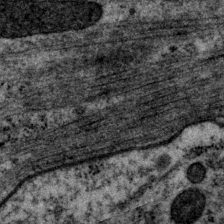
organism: P. pacificus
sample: Pharynx